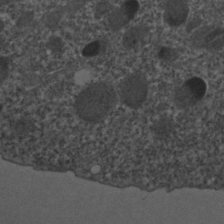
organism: C. elegans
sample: C. elegans embryo